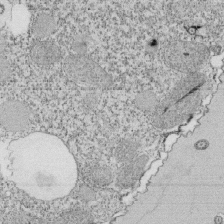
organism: Tetrahymena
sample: Cilia in tetrahymena